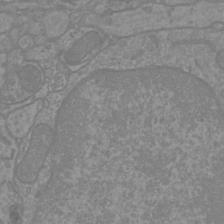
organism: Mouse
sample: Cortical neurons